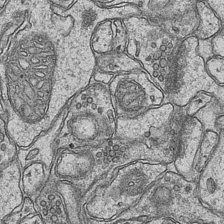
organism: Mouse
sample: CA1 Hippocampus